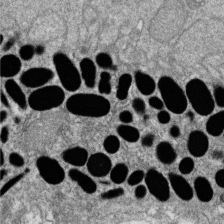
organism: Zebrafish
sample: Cilia; retinal pigment epithelium